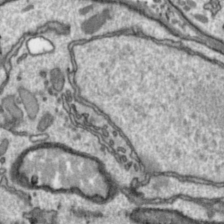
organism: Toxoplasma gondii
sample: Parasites in a vacuole inside a host cell